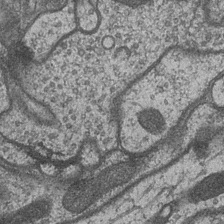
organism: Drosophila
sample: Optic medulla